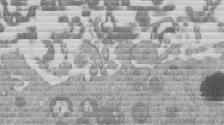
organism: Mouse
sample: Dividing mouse embryo 1 cell stage